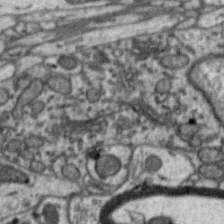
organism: Zebra finch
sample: Brain